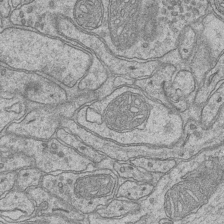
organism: Mouse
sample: CA1 Hippocampus